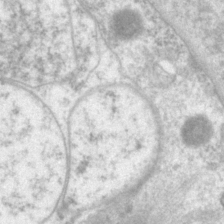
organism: P. pacificus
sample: Pharynx